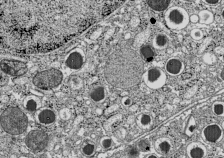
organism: C57BL Mouse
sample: Pancreatic islet